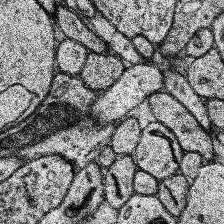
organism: Human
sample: Temporal Lobe